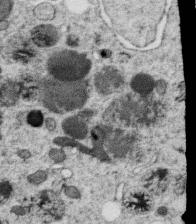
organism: C. elegans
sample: C. elegans oocyte; sperm cells